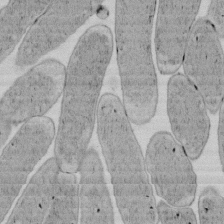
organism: E. coli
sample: Bacterial nucleoid